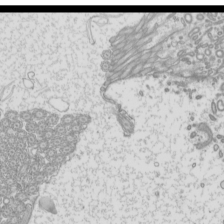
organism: Mouse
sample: Cilia; mouse epididymis